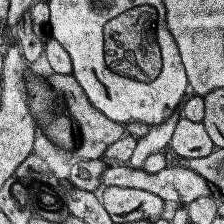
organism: Human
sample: Temporal Lobe